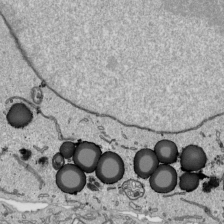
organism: Human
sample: Mitochondria in HCT116 cells